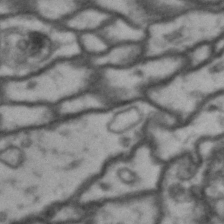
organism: Drosophila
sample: Brain